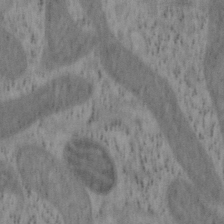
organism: Mouse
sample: OT-I killer T cells with ID8 ovarian cancer cells